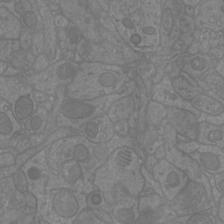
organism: Mouse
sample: Cortical neurons